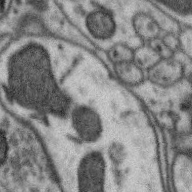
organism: Zebra finch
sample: Brain